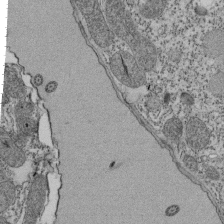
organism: Tetrahymena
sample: Cilia in tetrahymena